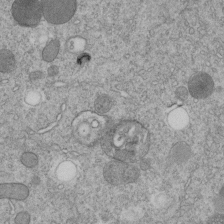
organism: C. elegans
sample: C. elegans embryo early stage